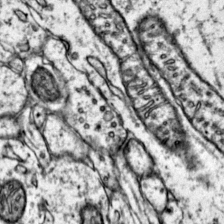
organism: Mouse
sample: Primary visual cortex